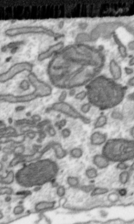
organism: Toxoplasma gondii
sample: Parasites in a vacuole inside a host cell